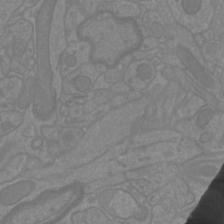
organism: Mouse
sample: Cortical neurons